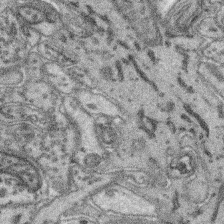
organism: Mouse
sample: Retina